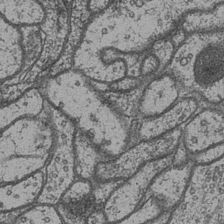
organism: Drosophila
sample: Optic medulla